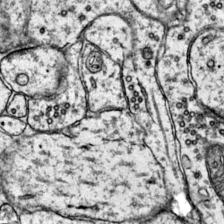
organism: Mouse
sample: Primary visual cortex